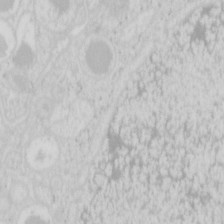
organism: Mouse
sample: Pancreas